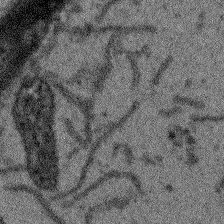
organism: Arabidopsis thaliana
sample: Root tip